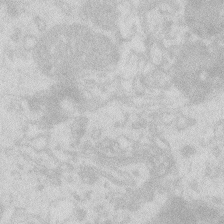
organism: Zebrafish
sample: Macrophage